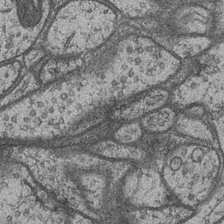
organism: Drosophila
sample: Optic medulla